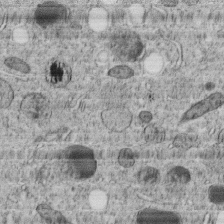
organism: C. elegans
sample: C. elegans embryo early stage